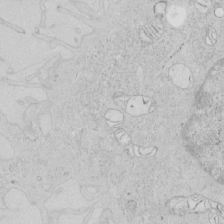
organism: Human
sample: Mitochondria in HCT116 cells